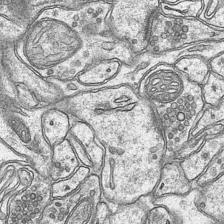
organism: Mouse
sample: CA1 Hippocampus